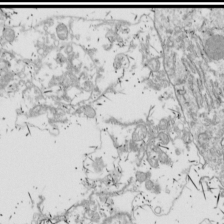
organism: Drosophila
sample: Cell division; meiosis; drosophila spermatocytes